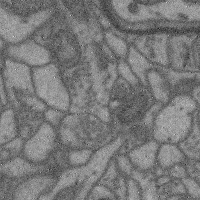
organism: Mouse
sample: Cerebral cortex